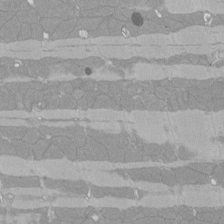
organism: Rat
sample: Left ventricle